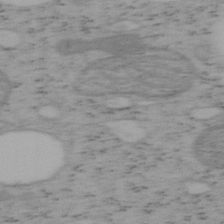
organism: Mouse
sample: OT-I killer T cells with ID8 ovarian cancer cells